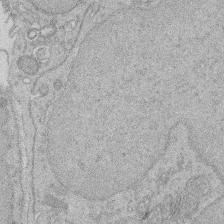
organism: Rat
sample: Salivary granule